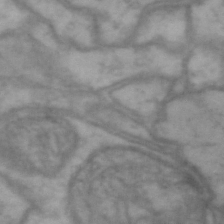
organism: Drosophila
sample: Brain